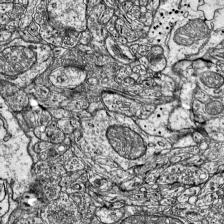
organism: Mouse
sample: Visual Cortex